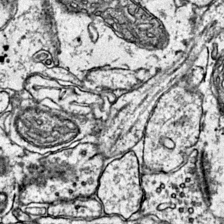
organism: Mouse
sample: Primary visual cortex